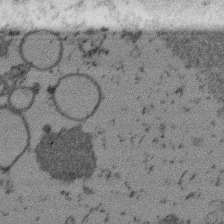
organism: Mouse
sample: Dividing mouse embryo 1 cell stage